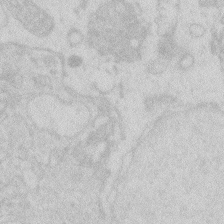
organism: Zebrafish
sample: Macrophage